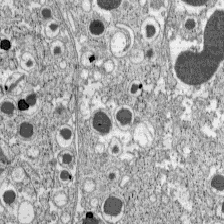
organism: C57BL Mouse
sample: Pancreatic islet